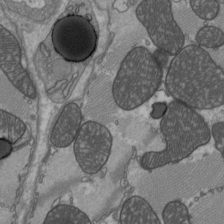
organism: C57BL Mouse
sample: Heart